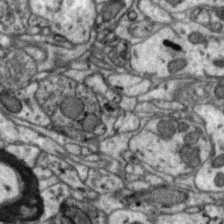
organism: Zebra finch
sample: Brain